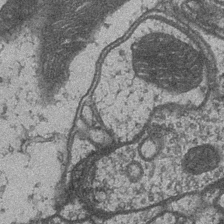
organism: Drosophila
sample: Optic medulla